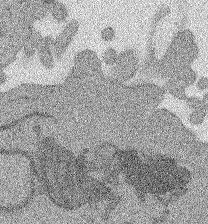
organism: Human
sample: HeLa cells